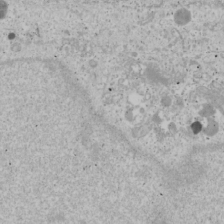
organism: Human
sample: Mitochondria in U2OS cells